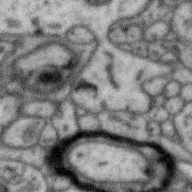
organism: Zebra finch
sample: Brain